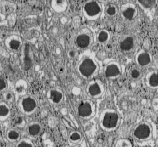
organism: C57BL Mouse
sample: Pancreatic islet